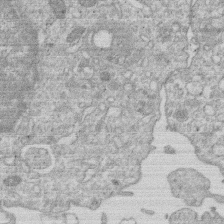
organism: Human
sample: Macrophage cells